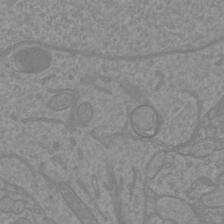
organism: Mouse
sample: Cortical neurons